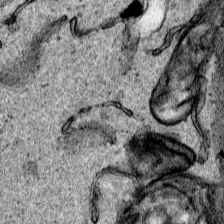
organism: Human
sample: Mitochondria in HCT116 cells